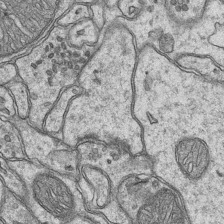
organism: Mouse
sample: CA1 Hippocampus